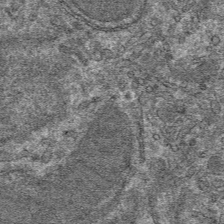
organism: Mouse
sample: Mouse hepatocytes